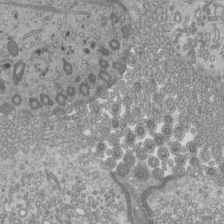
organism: Mouse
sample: Cilia; mouse epididymis